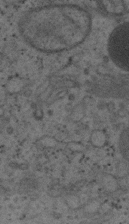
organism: Human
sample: HeLa cells